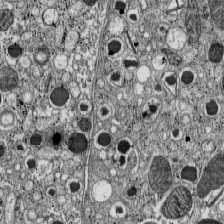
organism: C57BL Mouse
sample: Pancreatic islet